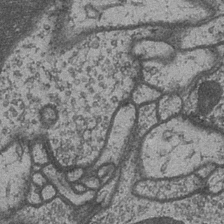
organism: Drosophila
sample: Optic medulla